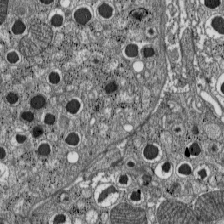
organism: C57BL Mouse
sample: Pancreatic islet